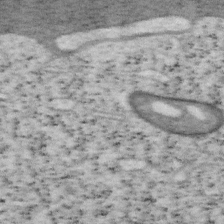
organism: Mouse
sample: OT-I killer T cells with ID8 ovarian cancer cells